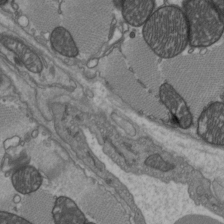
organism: C57BL Mouse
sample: Heart